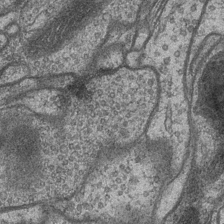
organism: Drosophila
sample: Optic medulla